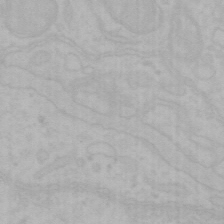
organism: Mouse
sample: Choroid plexus